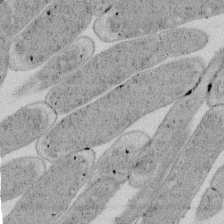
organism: E. coli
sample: Bacterial nucleoid